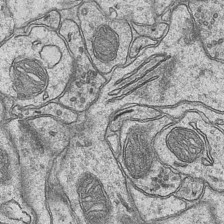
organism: Mouse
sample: CA1 Hippocampus